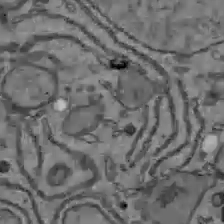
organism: C57BL Mouse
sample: Liver